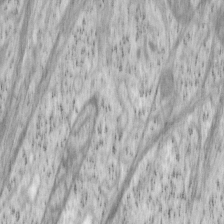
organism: Human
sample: HeLa cells